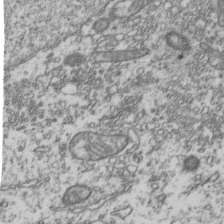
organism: Human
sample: Activated Jurkat CD4+ T cells